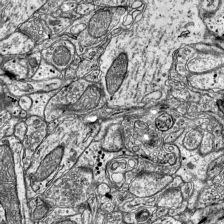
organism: Mouse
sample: Visual Cortex